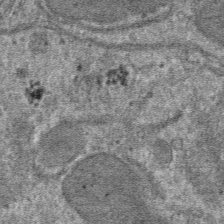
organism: Mouse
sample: Mouse hepatocytes